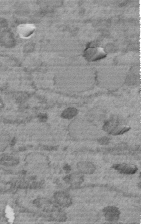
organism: C. elegans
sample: C. elegans embryo early stage